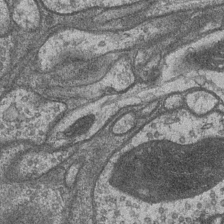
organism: Drosophila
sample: Optic medulla